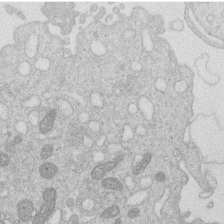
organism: Human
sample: Macrophage cells